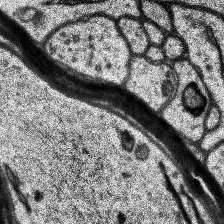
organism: Human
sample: Temporal Lobe